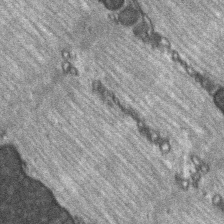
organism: C57BL Mouse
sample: Soleus